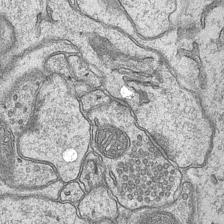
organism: Mouse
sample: CA1 Hippocampus